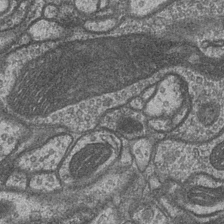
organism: Drosophila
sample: Optic medulla